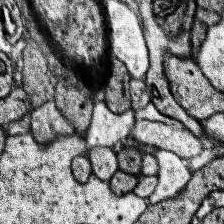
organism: Human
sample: Temporal Lobe